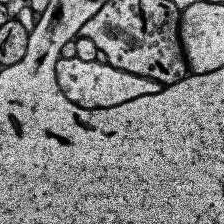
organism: Human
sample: Temporal Lobe